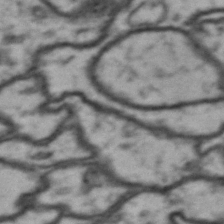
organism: Drosophila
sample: Brain